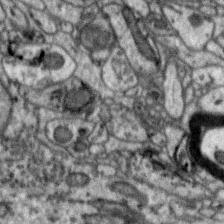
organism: Zebra finch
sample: Brain